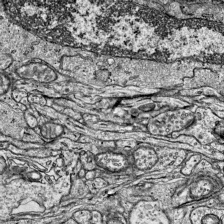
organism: Mouse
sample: Visual Cortex